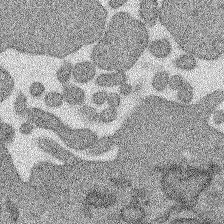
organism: Human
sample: HeLa cells